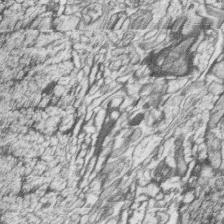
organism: Zebrafish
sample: synaptic ribbons in rod cells and cone cells